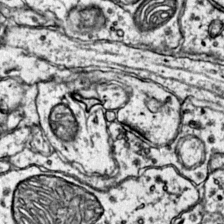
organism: Mouse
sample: Primary visual cortex